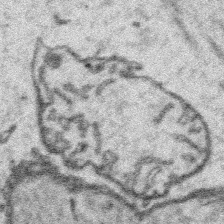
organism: Platynereis dumerilii